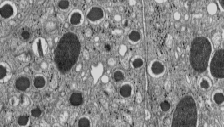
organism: C57BL Mouse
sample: Pancreatic islet